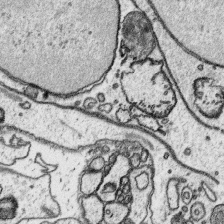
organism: Platynereis dumerilii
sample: Parapodia